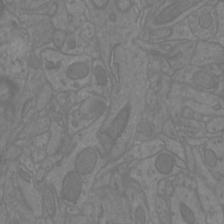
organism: Mouse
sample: Cortical neurons